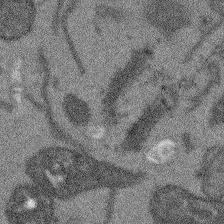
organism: Arabidopsis thaliana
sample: Root tip